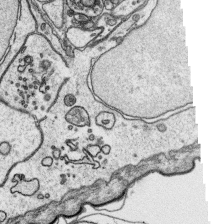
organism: Platynereis dumerilii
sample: Parapodia